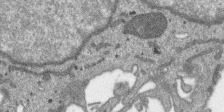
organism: Human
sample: Lung epithelial cells infected with SARS-CoV-2